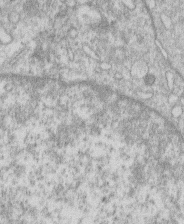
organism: Human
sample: Macrophage cells